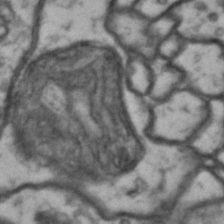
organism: Drosophila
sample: Brain